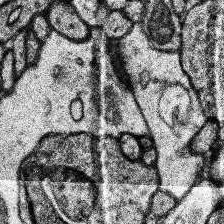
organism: Human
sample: Temporal Lobe